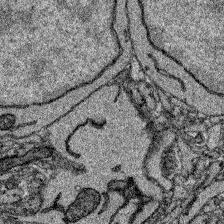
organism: Zebrafish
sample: Larval olfactory bulb